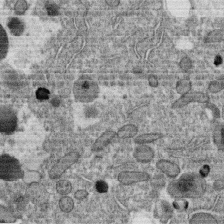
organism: C. elegans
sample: C. elegans oocyte; sperm cells